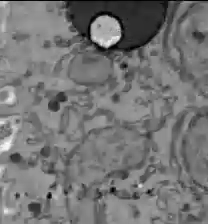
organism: C57BL Mouse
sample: Liver